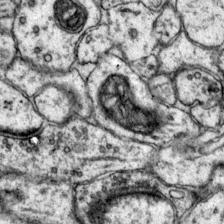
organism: Mouse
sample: Primary visual cortex